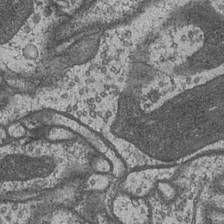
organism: Drosophila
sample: Optic medulla